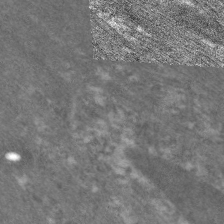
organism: C. elegans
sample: Pharynx